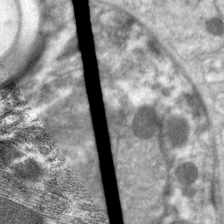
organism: C. elegans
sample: Pharynx